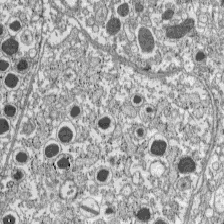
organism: C57BL Mouse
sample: Pancreatic islet